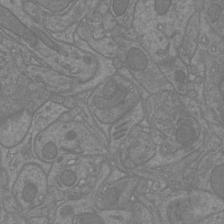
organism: Mouse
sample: Cortical neurons